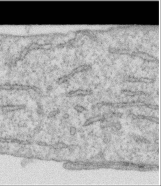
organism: Human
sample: Centriole in RPE cells